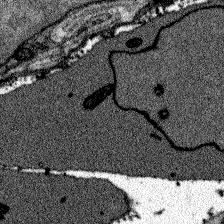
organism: Zebrafish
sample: Larval olfactory bulb